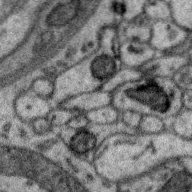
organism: Zebra finch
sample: Brain